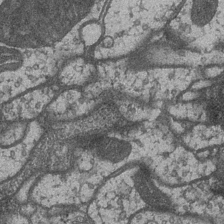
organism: Drosophila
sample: Optic medulla